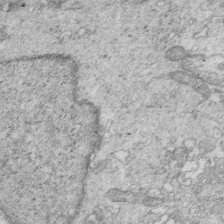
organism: Mouse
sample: Multiciliated cells